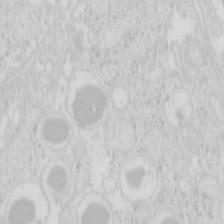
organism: Mouse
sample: Pancreas